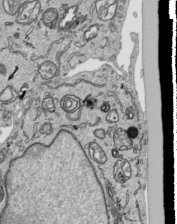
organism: Human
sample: Mitochondria in HCT116 cells